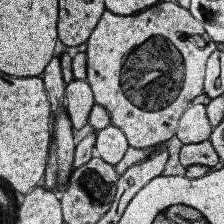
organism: Human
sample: Temporal Lobe